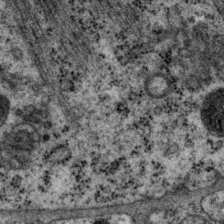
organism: P. pacificus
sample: Pharynx